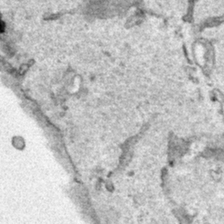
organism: Human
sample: Mitochondria in HCT116 cells